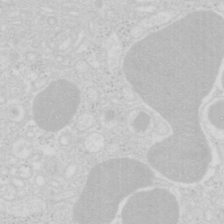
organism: Mouse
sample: Pancreas